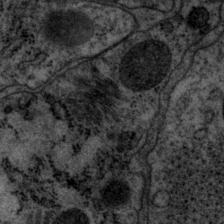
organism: P. pacificus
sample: Pharynx